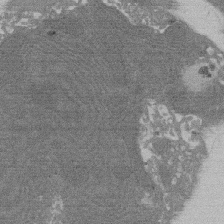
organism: Rat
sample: Salivary granule